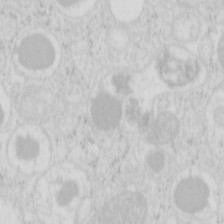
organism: Mouse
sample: Pancreas